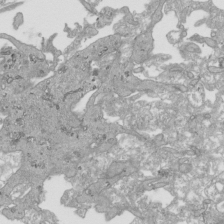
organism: Human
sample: Mitochondria in HCT116 cells